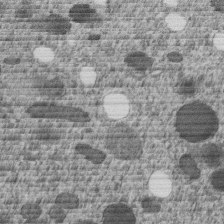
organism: C. elegans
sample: C. elegans embryo early stage